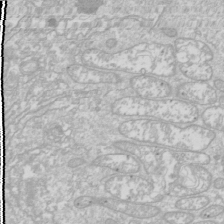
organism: Drosophila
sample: Cell division; meiosis; drosophila spermatocytes